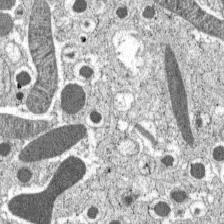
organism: C57BL Mouse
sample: Pancreatic islet